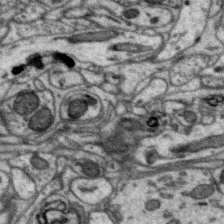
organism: Zebra finch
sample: Brain